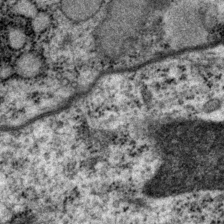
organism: P. pacificus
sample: Pharynx